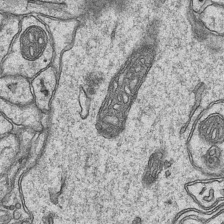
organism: Mouse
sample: CA1 Hippocampus